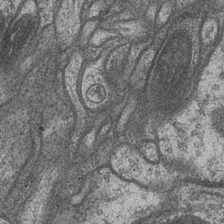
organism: Drosophila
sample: Optic medulla